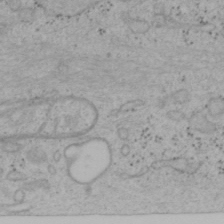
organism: Human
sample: HeLa cells